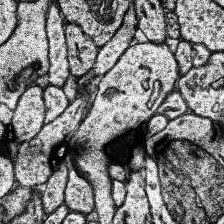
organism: Human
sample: Temporal Lobe